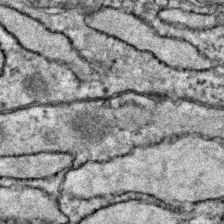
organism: Zebrafish